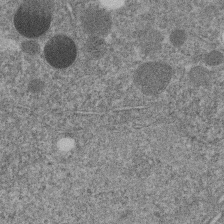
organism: C. elegans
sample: C. elegans embryo early stage